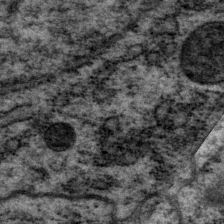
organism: P. pacificus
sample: Pharynx